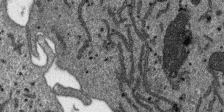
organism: Human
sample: Lung epithelial cells infected with SARS-CoV-2